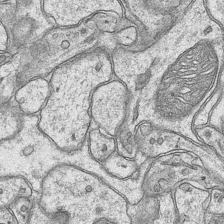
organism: Mouse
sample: CA1 Hippocampus